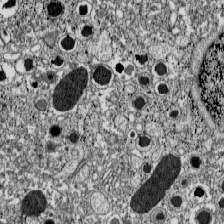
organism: C57BL Mouse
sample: Pancreatic islet